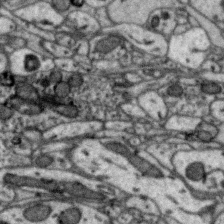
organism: Zebra finch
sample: Brain